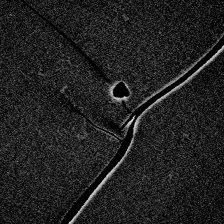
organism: Zebrafish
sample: Whole-Brain